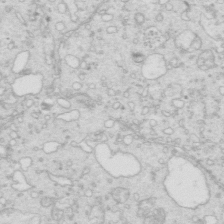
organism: Mouse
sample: Multiciliated cells